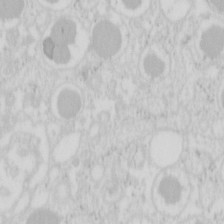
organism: Mouse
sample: Pancreas